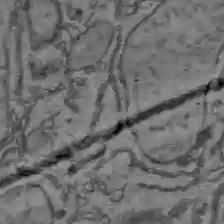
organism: C57BL Mouse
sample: Liver